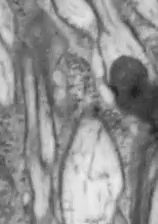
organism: Drosophila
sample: Optic lobe